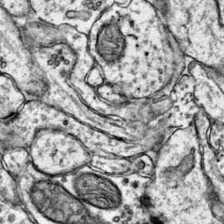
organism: Mouse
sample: Primary visual cortex